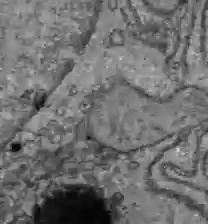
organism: C57BL Mouse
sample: Liver